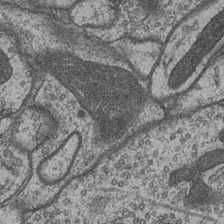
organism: Drosophila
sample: Optic medulla